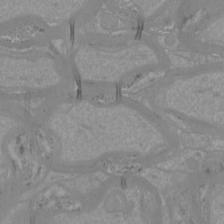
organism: Mouse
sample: Cortical neurons